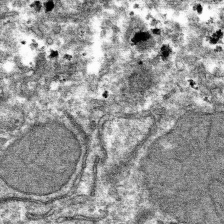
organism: Mouse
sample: Mouse hepatocytes